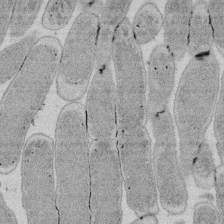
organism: E. coli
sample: Bacterial nucleoid